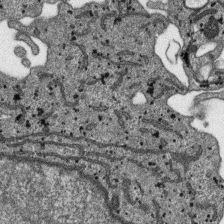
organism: Human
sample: Lung epithelial cells infected with SARS-CoV-2